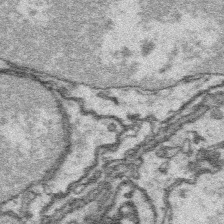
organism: Platynereis dumerilii